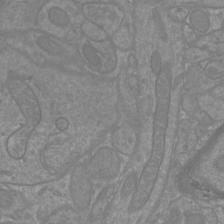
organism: Mouse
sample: Cortical neurons